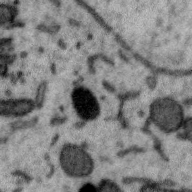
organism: Zebra finch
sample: Brain